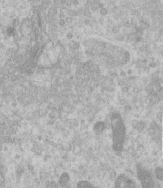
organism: Human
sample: Centriole in RPE cells